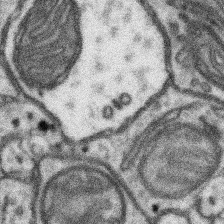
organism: Mouse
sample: Somatosensory cortex neuropil